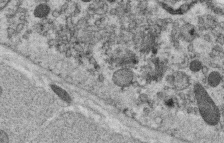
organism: C. elegans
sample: C. elegans oocyte; sperm cells